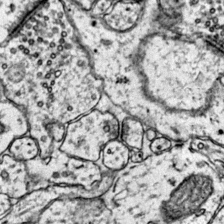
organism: Mouse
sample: Primary visual cortex